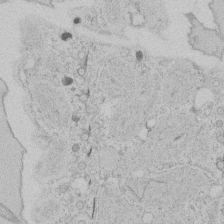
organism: Tetrahymena